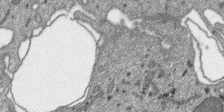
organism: Human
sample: Lung epithelial cells infected with SARS-CoV-2